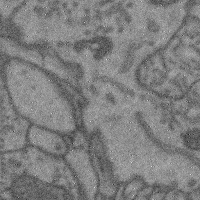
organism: Mouse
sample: Cerebral cortex